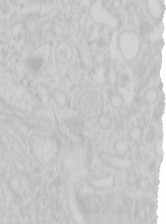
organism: Mouse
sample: Pancreas